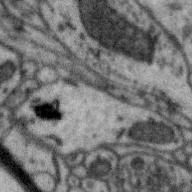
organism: Zebra finch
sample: Brain